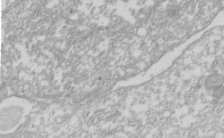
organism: Xenopus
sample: Cilia; centrioles in frog embryo cells